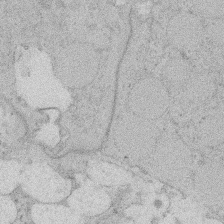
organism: Rat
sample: Salivary granule